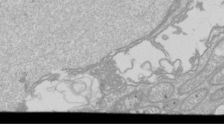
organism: Drosophila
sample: Cell division; meiosis; drosophila spermatocytes